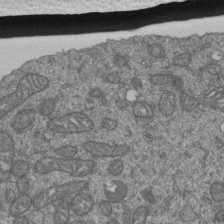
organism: Human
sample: Retinal organoid Rod and Cone cells